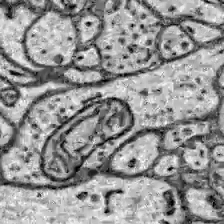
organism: Zebrafish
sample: Brain